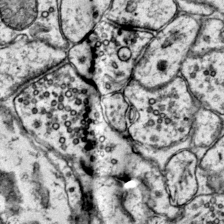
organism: Mouse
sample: Primary visual cortex